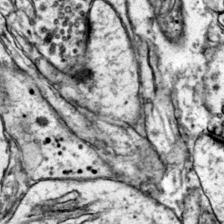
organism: Mouse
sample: Primary visual cortex